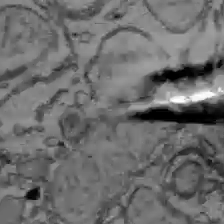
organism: C57BL Mouse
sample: Liver